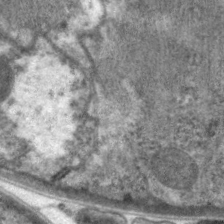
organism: C. elegans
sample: Pharynx